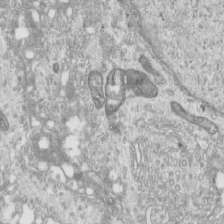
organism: Human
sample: Centriole in RPE cells